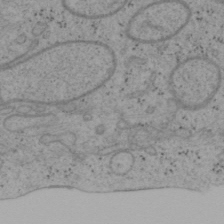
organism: Human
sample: HeLa cells